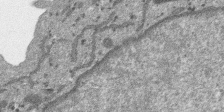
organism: Human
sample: Lung epithelial cells infected with SARS-CoV-2